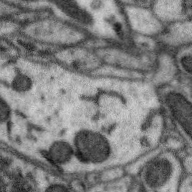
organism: Zebra finch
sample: Brain